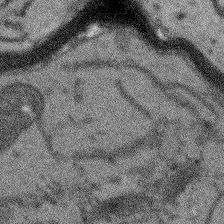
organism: Arabidopsis thaliana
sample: Root tip